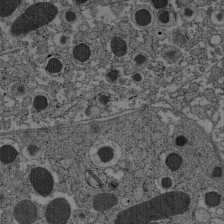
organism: C57BL Mouse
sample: Pancreatic islet